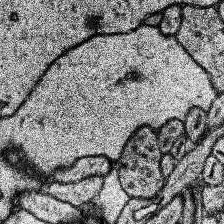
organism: Human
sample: Temporal Lobe